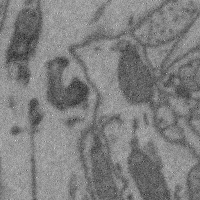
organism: Mouse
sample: Cerebral cortex